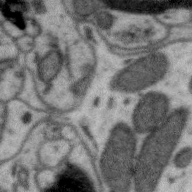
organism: Zebra finch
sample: Brain